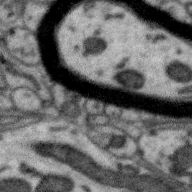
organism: Zebra finch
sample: Brain